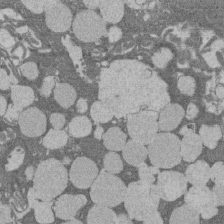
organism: Rat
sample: Salivary granule